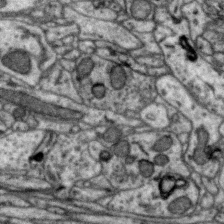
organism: Zebra finch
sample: Brain